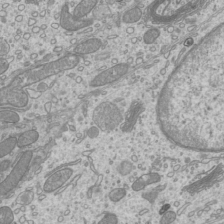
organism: Mouse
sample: Cilia; mouse epididymis